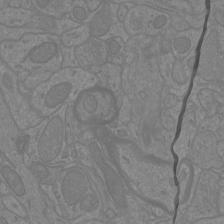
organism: Mouse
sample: Cortical neurons